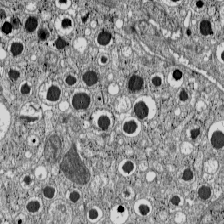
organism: C57BL Mouse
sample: Pancreatic islet